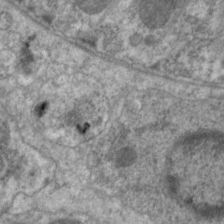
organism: C. elegans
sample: Pharynx